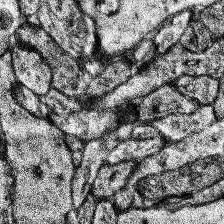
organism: Human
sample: Temporal Lobe